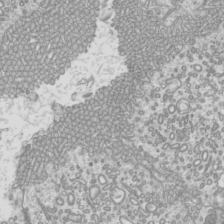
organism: Mouse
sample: Cilia; mouse epididymis